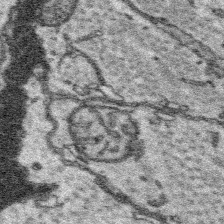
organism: Platynereis dumerilii